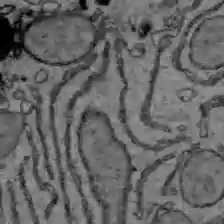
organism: C57BL Mouse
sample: Liver